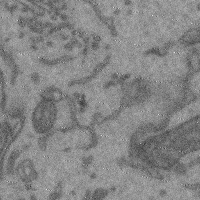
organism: Mouse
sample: Cerebral cortex